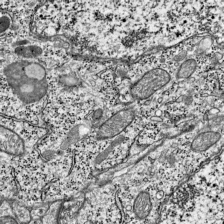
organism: Mouse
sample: Visual Cortex